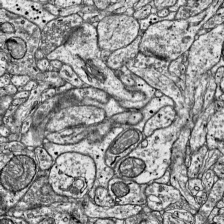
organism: Mouse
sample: Visual Cortex